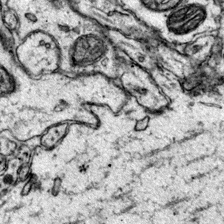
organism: Mouse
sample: Primary visual cortex